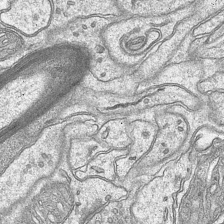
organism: Mouse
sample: CA1 Hippocampus